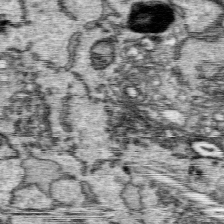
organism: Human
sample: HeLa cells